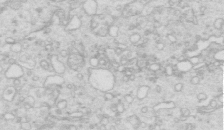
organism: Mouse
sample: Multiciliated cells